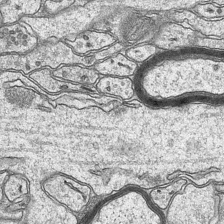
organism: Mouse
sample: CA1 Hippocampus